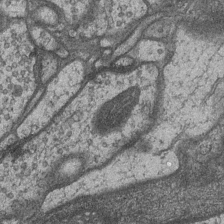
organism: Drosophila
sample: Optic medulla